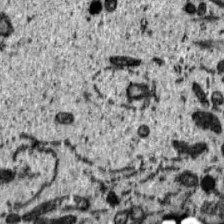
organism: Human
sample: HeLa cells